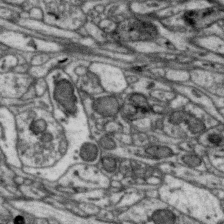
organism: Zebra finch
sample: Brain